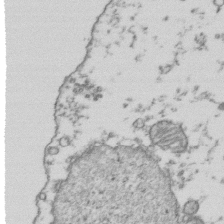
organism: Human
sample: Activated Jurkat CD4+ T cells